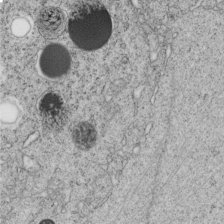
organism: C. elegans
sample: C. elegans embryo early stage